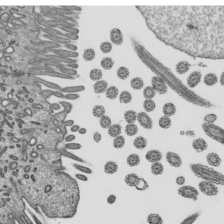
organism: Mouse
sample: Mouse epididymis efferent ductule cilia